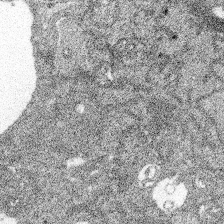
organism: Spongilla lacustris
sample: Multiple